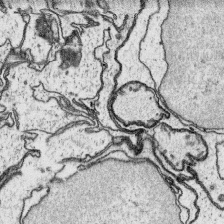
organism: Platynereis dumerilii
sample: Parapodia